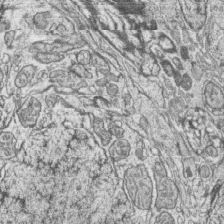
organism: Zebrafish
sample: synaptic ribbons in rod cells and cone cells